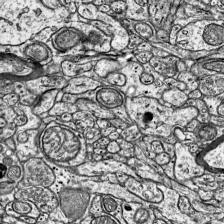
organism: Mouse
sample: Visual Cortex